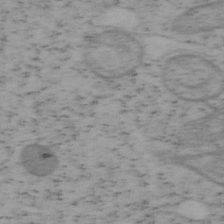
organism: Mouse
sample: OT-I killer T cells with ID8 ovarian cancer cells